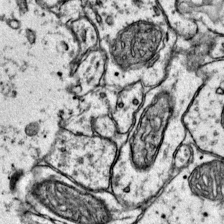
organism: Mouse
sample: Primary visual cortex